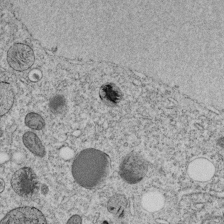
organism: C. elegans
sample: C. elegans embryo early stage